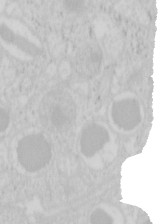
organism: Mouse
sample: Pancreas